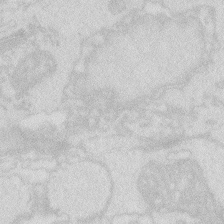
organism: Zebrafish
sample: Macrophage